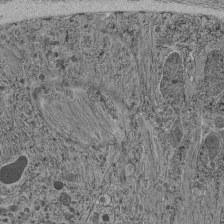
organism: C. elegans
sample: C. elegans pharynx